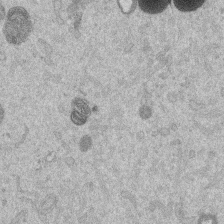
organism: Mouse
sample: Dividing mouse embryo 1 cell stage